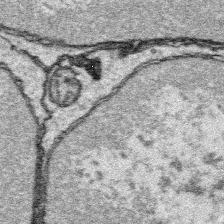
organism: Platynereis dumerilii